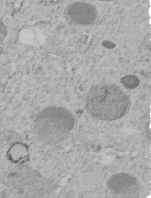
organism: C. elegans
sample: C. elegans embryo early stage